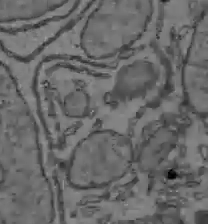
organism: C57BL Mouse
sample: Liver